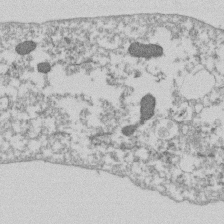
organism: Dictyostelium discoideum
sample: Dictyostelium multivesicular bodies